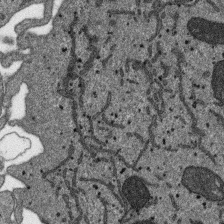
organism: Human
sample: Lung epithelial cells infected with SARS-CoV-2